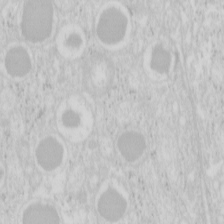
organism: Mouse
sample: Pancreas